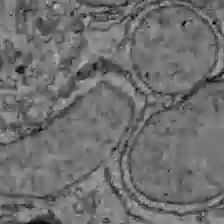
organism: C57BL Mouse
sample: Liver